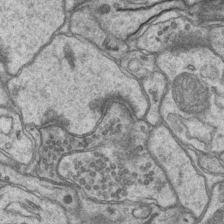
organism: Mouse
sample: CA1 Hippocampus